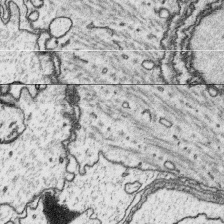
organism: Platynereis dumerilii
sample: Parapodia